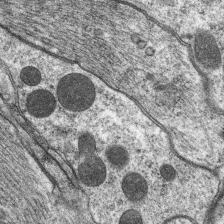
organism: C. elegans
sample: Pharynx